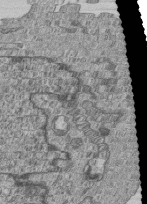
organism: Human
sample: MDA-MB-231 cells